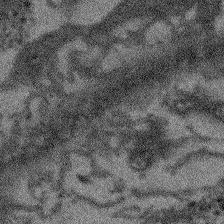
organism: Arabidopsis thaliana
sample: Root tip